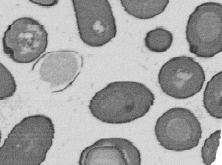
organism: B. subtilis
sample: Bacterial spore